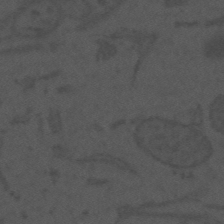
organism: Mouse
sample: Suprachiasmatic nucleus